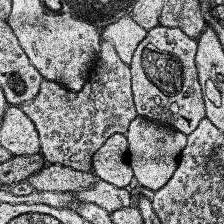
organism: Human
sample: Temporal Lobe